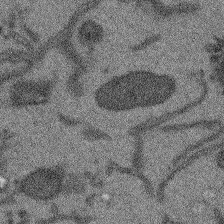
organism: Arabidopsis thaliana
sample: Root tip